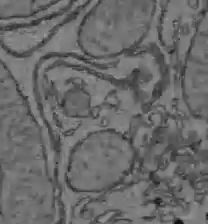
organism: C57BL Mouse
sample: Liver